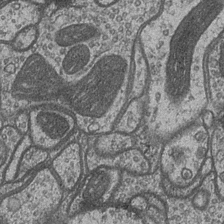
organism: Drosophila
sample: Optic medulla